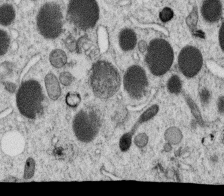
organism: C. elegans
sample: C. elegans oocyte; sperm cells